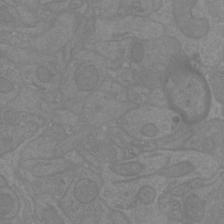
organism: Mouse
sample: Cortical neurons